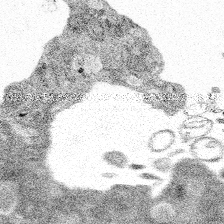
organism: Spongilla lacustris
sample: Multiple